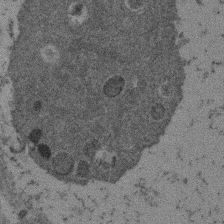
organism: Mouse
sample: Dividing mouse embryo 1 cell stage